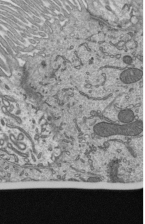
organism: Mouse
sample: Mouse epididymis efferent ductule cilia